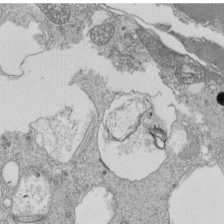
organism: Tetrahymena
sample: Cilia in tetrahymena